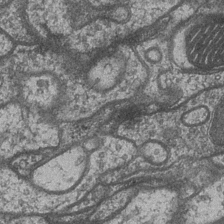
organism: Drosophila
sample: Optic medulla